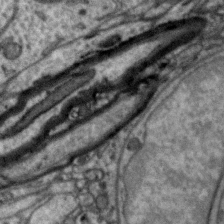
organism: Zebra finch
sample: Brain